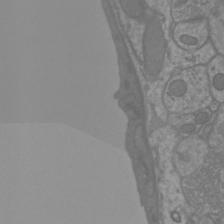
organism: Mouse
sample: Cortical neurons